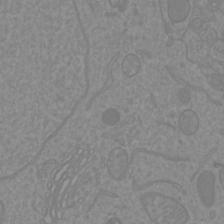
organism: Mouse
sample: Cortical neurons